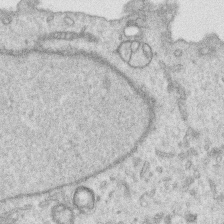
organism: Human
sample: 1205lu cells